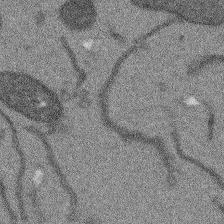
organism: Arabidopsis thaliana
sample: Root tip